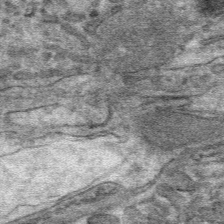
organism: Mouse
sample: Mouse hepatocytes